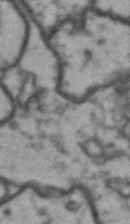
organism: Drosophila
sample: Brain